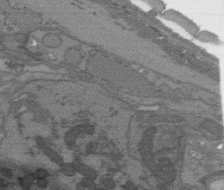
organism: C. elegans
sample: AFD neurons C. elegans